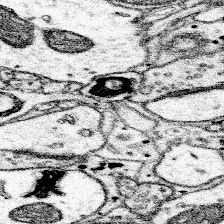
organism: Mouse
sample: Somatosensory cortex neuropil